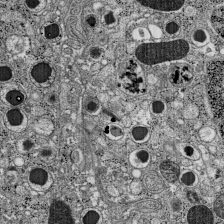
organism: C57BL Mouse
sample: Pancreatic islet